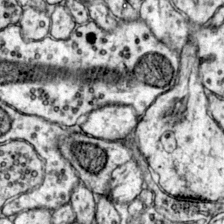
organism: Mouse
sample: Primary visual cortex